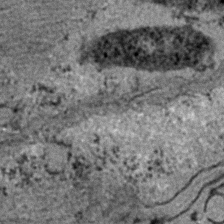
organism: C. elegans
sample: C. elegans embryo